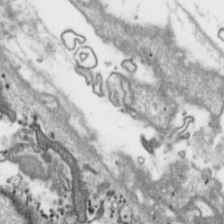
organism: Toxoplasma gondii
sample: Parasites in a vacuole inside a host cell